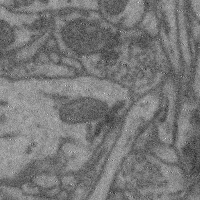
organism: Mouse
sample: Cerebral cortex